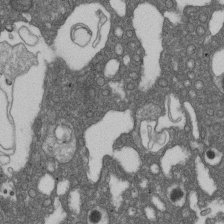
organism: Drosophila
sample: Nephrocyte